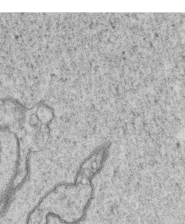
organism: C. elegans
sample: C. elegans oocyte; sperm cells